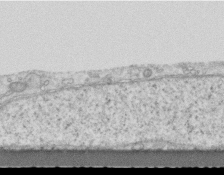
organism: Mouse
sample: Centriole in ependymal cells